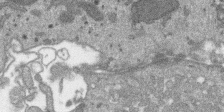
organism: Human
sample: Lung epithelial cells infected with SARS-CoV-2